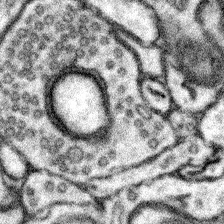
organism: Mouse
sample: Somatosensory cortex neuropil